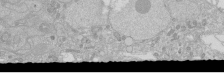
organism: Human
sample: Caco-2 cells